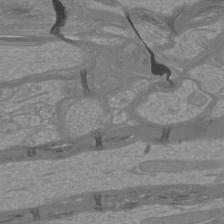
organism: Mouse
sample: Cortical neurons